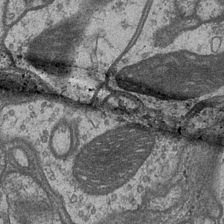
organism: Drosophila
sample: Optic medulla